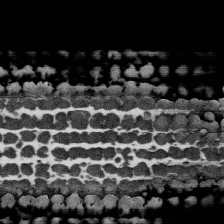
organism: Human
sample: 1205lu cells